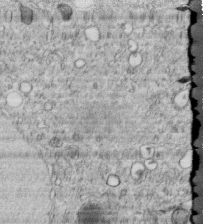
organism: C. elegans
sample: C. elegans embryo early stage